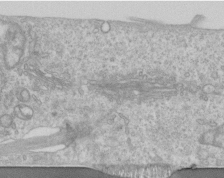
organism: Human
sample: Centriole in RPE cells